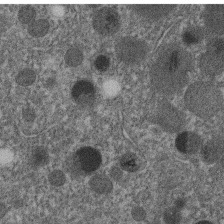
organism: C. elegans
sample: C. elegans embryo early stage